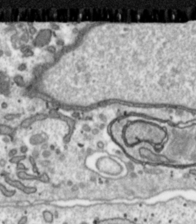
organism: Toxoplasma gondii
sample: Parasites in a vacuole inside a host cell